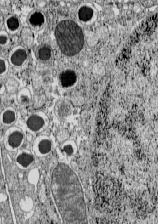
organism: C57BL Mouse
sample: Pancreatic islet